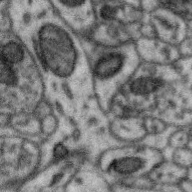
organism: Zebra finch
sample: Brain